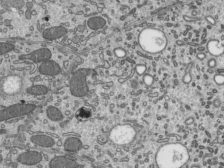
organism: Mouse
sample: Mouse epididymis efferent ductule cilia